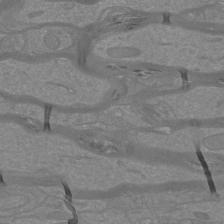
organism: Mouse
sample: Cortical neurons